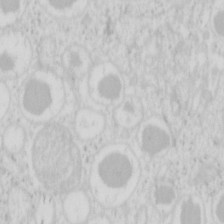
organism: Mouse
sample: Pancreas